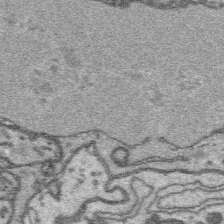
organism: Platynereis dumerilii